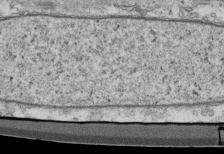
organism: Mouse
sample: Cilia; retinal pigment epithelium